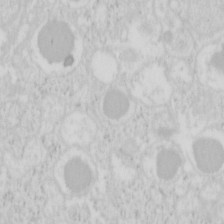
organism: Mouse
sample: Pancreas